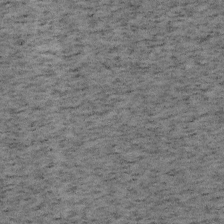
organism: Mouse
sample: OT-I killer T cells with ID8 ovarian cancer cells